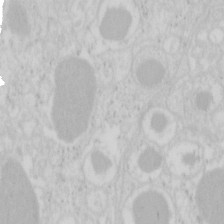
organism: Mouse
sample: Pancreas